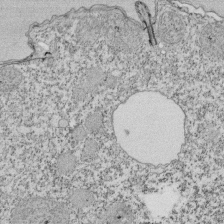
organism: Tetrahymena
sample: Cilia in tetrahymena